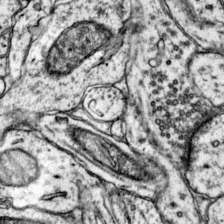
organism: Mouse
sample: Primary visual cortex